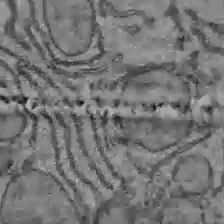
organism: C57BL Mouse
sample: Liver